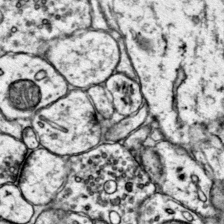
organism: Mouse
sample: Primary visual cortex